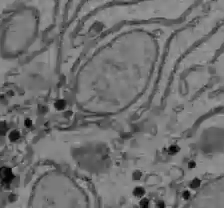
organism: C57BL Mouse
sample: Liver